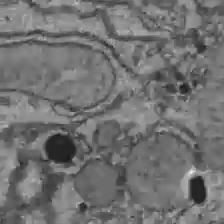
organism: C57BL Mouse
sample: Liver